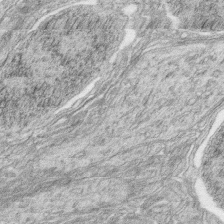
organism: Zebrafish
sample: synaptic ribbons in rod cells and cone cells